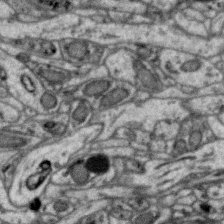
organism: Zebra finch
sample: Brain